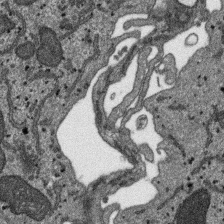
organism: Human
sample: Lung epithelial cells infected with SARS-CoV-2